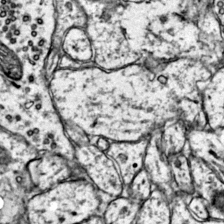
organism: Mouse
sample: Primary visual cortex